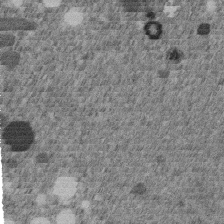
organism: C. elegans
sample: C. elegans embryo early stage